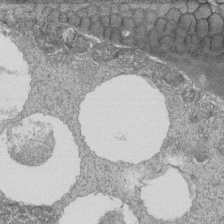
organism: Tetrahymena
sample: Cilia in tetrahymena